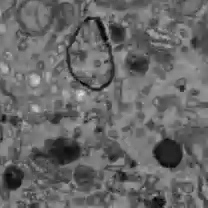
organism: C57BL Mouse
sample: Liver